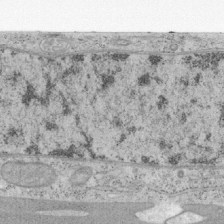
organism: Human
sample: HeLa cells